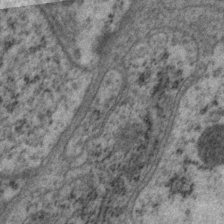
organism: P. pacificus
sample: Pharynx